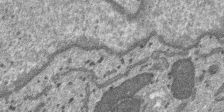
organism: Human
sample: Lung epithelial cells infected with SARS-CoV-2